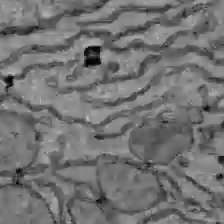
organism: C57BL Mouse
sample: Liver